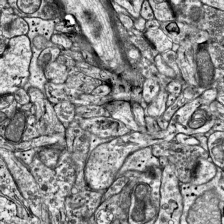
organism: Mouse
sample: Visual Cortex